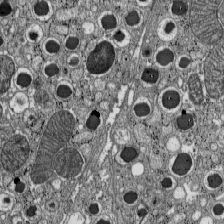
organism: C57BL Mouse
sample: Pancreatic islet